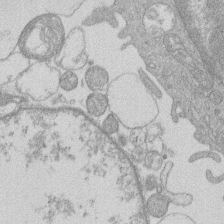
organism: Human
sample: Macrophage cells